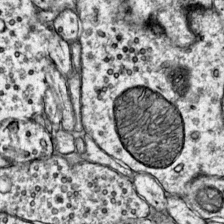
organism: Mouse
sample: Primary visual cortex